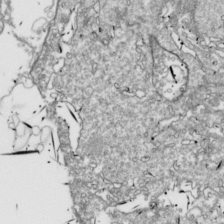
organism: Drosophila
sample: Cell division; meiosis; drosophila spermatocytes